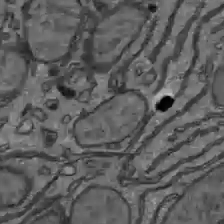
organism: C57BL Mouse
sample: Liver